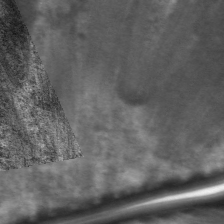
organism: C. elegans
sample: Pharynx